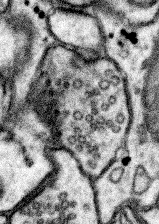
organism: Mouse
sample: Somatosensory cortex neuropil